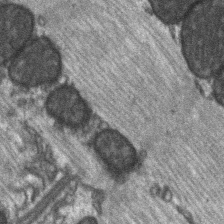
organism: C57BL Mouse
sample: Soleus